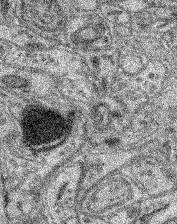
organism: Mouse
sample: Retina